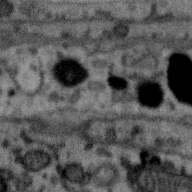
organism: Zebra finch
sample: Brain